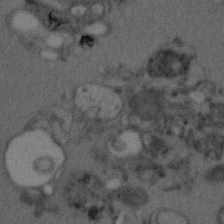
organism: Human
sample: HeLa cells